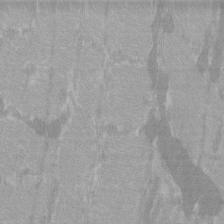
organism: C57BL Mouse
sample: Tibialis anterior muscle cell